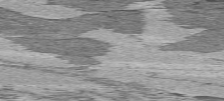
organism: C57BL Mouse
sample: Heart